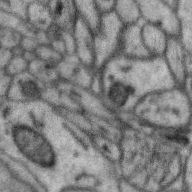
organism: Zebra finch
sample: Brain